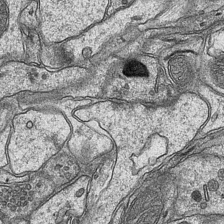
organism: Mouse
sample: CA1 Hippocampus